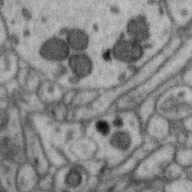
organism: Zebra finch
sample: Brain